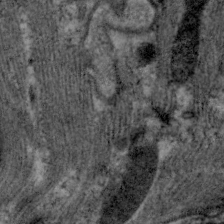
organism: C. elegans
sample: Pharynx